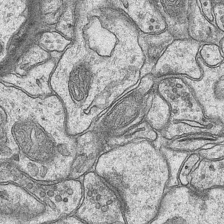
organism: Mouse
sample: CA1 Hippocampus